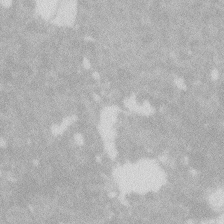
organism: Zebrafish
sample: Macrophage